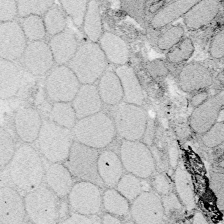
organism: Zebrafish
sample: Whole-Brain